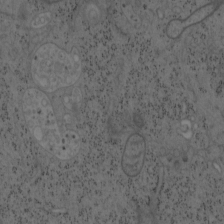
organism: Mouse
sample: OT-I killer T cells with ID8 ovarian cancer cells